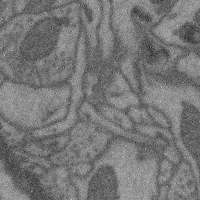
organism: Mouse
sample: Cerebral cortex